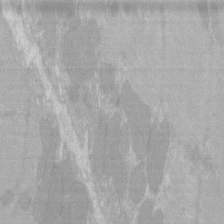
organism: C57BL Mouse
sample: Tibialis anterior muscle cell